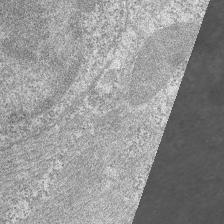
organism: C. elegans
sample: Pharynx